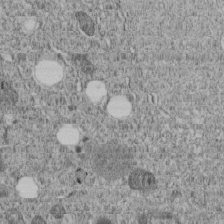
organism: C. elegans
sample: C. elegans embryo early stage